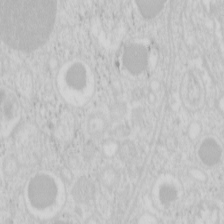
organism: Mouse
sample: Pancreas